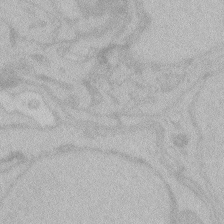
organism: Zebrafish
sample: Macrophage infected with Toxoplasma gondii